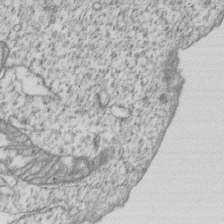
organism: Human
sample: MDA-MB-231 cells